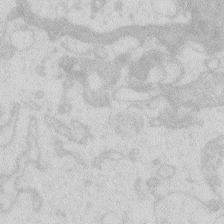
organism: Zebrafish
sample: Macrophage